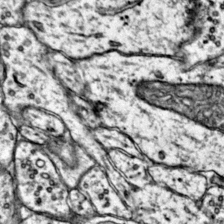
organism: Mouse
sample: Primary visual cortex